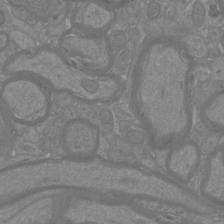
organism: Mouse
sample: Cortical neurons